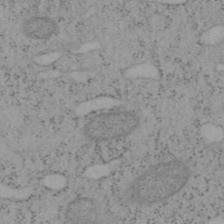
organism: Mouse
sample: OT-I killer T cells with ID8 ovarian cancer cells